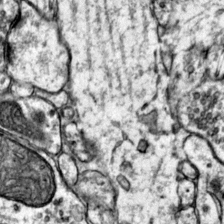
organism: Mouse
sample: Primary visual cortex